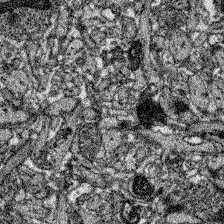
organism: Zebrafish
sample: Larval olfactory bulb